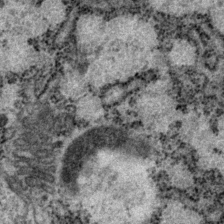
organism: P. pacificus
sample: Pharynx